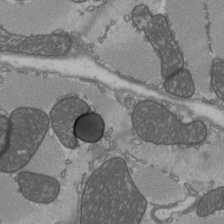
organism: C57BL Mouse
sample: Heart